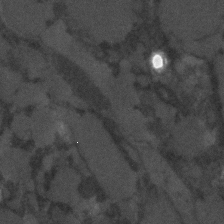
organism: C. elegans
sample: C. elegans embryo